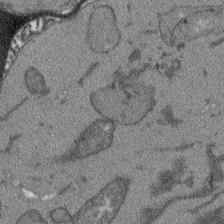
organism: Arabidopsis thaliana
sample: Root tip